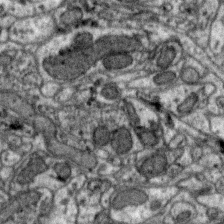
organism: Zebra finch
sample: Brain